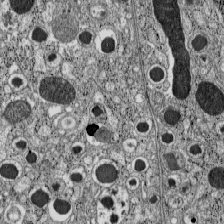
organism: C57BL Mouse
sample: Pancreatic islet